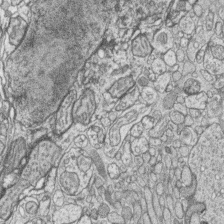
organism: Zebrafish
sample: synaptic ribbons in rod cells and cone cells